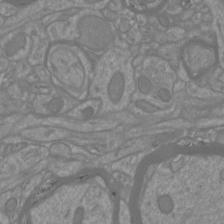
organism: Mouse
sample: Cortical neurons